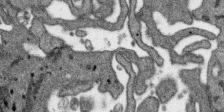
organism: Human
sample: Lung epithelial cells, uninfected (mock) control